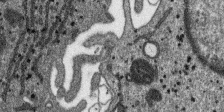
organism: Human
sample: Lung epithelial cells infected with SARS-CoV-2